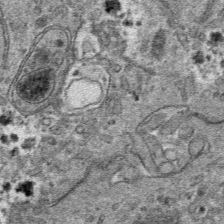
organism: Mouse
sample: Mouse hepatocytes